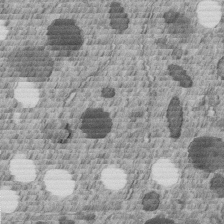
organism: C. elegans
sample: C. elegans embryo early stage